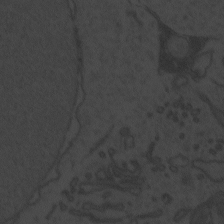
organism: Zebrafish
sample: Macrophage infected with Toxoplasma gondii